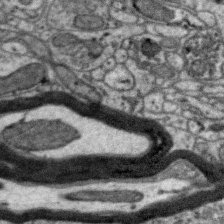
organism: Zebra finch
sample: Brain